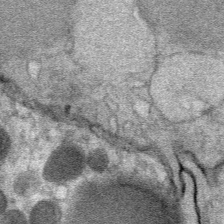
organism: Mouse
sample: Mouse Salivary gland